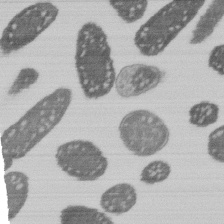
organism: E. coli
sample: Bacterial nucleoid